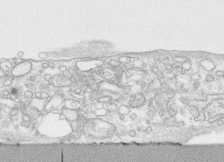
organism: Human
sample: CRL-1474